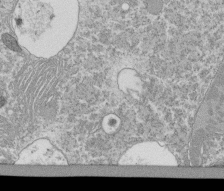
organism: Tetrahymena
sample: Cilia in tetrahymena